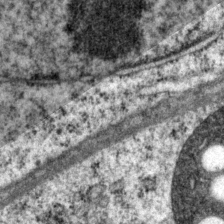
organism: P. pacificus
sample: Pharynx